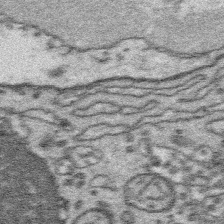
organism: Platynereis dumerilii